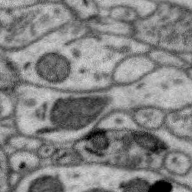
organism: Zebra finch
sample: Brain